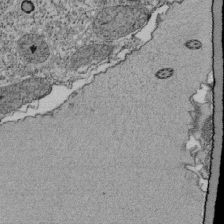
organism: Tetrahymena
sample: Cilia in tetrahymena